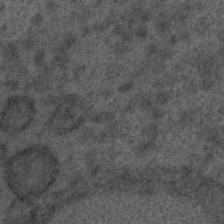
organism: C. elegans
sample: C. elegans embryo